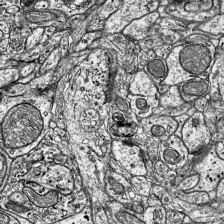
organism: Mouse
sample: Visual Cortex